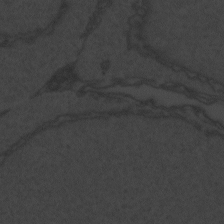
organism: Zebrafish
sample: Macrophage infected with Toxoplasma gondii